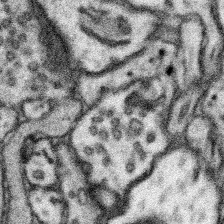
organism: Mouse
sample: Somatosensory cortex neuropil